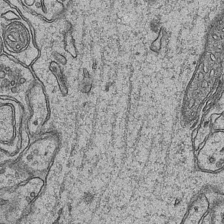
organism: Mouse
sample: CA1 Hippocampus